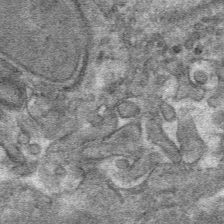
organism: Mouse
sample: Mouse hepatocytes